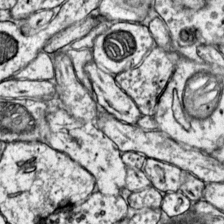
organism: Mouse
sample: Primary visual cortex